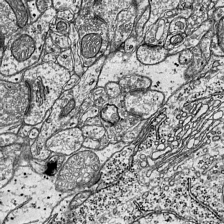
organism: Mouse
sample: Visual Cortex